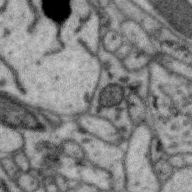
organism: Zebra finch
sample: Brain